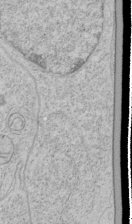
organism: Human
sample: Mitochondria in HCT116 cells